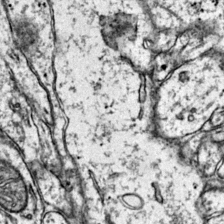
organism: Mouse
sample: Primary visual cortex